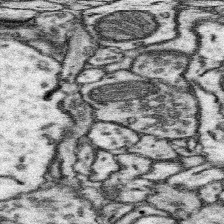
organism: Mouse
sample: Somatosensory cortex neuropil